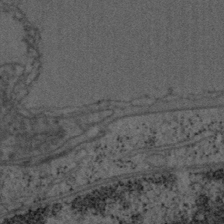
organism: Human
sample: HeLa cells